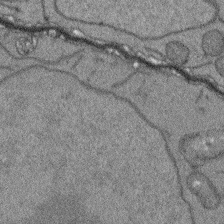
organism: Arabidopsis thaliana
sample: Root tip